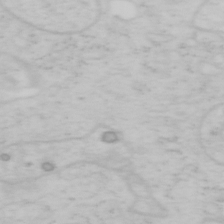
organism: Mouse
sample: OT-I killer T cells with ID8 ovarian cancer cells